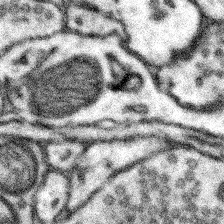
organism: Mouse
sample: Somatosensory cortex neuropil